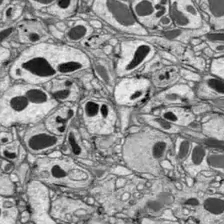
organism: Drosophila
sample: Optic lobe